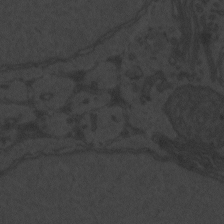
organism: Zebrafish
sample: Macrophage infected with Toxoplasma gondii